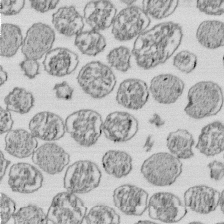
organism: E. coli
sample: Bacterial nucleoid